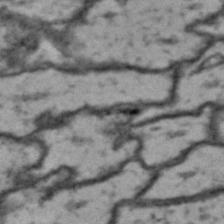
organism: Drosophila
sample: Brain